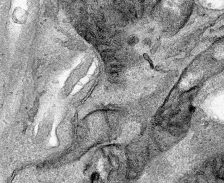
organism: Human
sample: Mitochondria in HCT116 cells